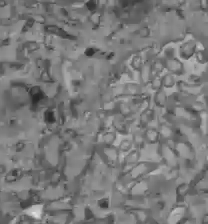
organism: C57BL Mouse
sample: Liver